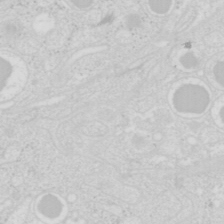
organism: Mouse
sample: Pancreas